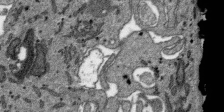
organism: Human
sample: Lung epithelial cells, uninfected (mock) control